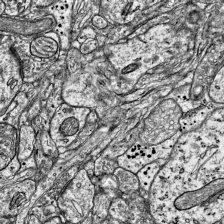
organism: Mouse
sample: Visual Cortex